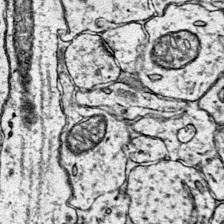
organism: Mouse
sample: Primary visual cortex